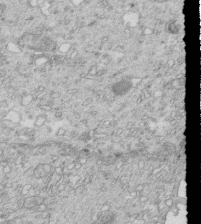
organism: Mouse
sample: Multiciliated cells